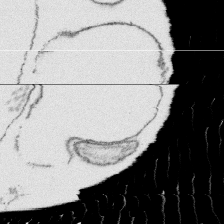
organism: Platynereis dumerilii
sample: Parapodia